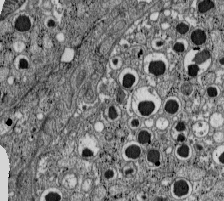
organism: C57BL Mouse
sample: Pancreatic islet